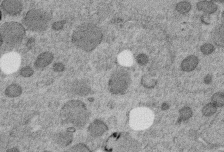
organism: C. elegans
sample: C. elegans embryo early stage